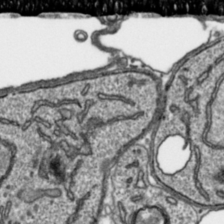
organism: Toxoplasma gondii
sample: Parasites in a vacuole inside a host cell